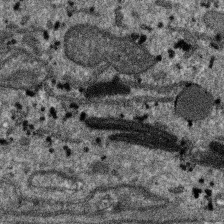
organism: Human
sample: Lung epithelial cells infected with SARS-CoV-2